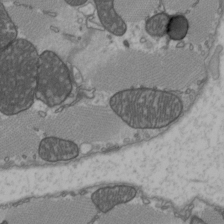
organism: C57BL Mouse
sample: Heart